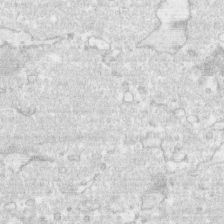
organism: Human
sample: CRL-1474